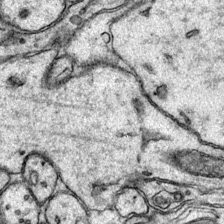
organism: Mouse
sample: Primary visual cortex